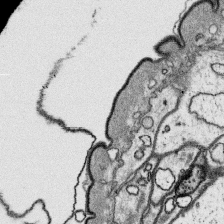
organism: Platynereis dumerilii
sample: Parapodia